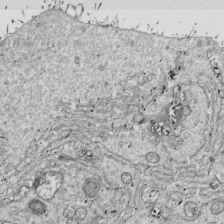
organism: Drosophila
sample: Cell division; meiosis; drosophila spermatocytes